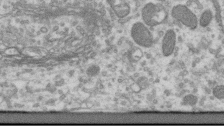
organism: Human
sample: Centriole in RPE cells